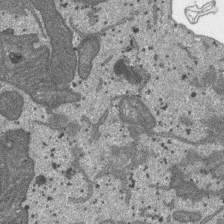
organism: Human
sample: Lung epithelial cells infected with SARS-CoV-2